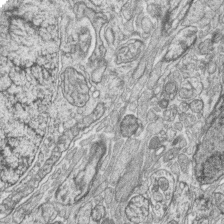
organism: Zebrafish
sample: synaptic ribbons in rod cells and cone cells